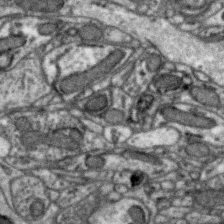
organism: Zebra finch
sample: Brain